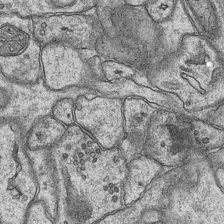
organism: Mouse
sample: CA1 Hippocampus